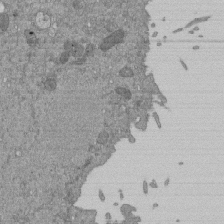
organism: Mouse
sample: ED-1 cell nuclei; centrioles